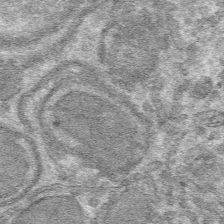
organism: Mouse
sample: Mouse hepatocytes